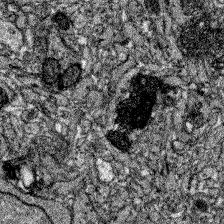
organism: Zebrafish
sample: Larval olfactory bulb